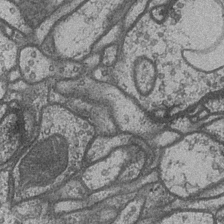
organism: Drosophila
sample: Optic medulla